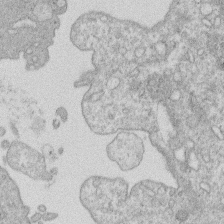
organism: Human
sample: Macrophage cells